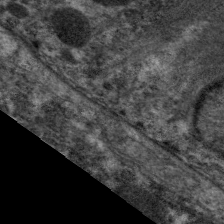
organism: C. elegans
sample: Pharynx